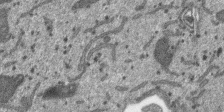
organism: Human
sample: Lung epithelial cells infected with SARS-CoV-2